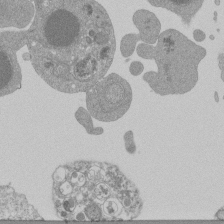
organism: Mouse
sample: Activated Pmel transgenic CD8+ T Cells